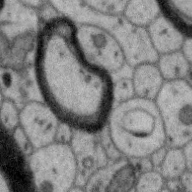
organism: Zebra finch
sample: Brain